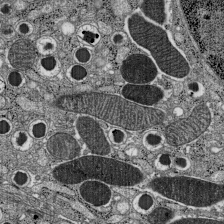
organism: C57BL Mouse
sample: Pancreatic islet